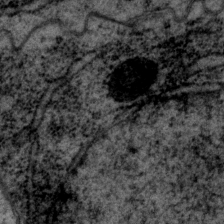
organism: P. pacificus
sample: Pharynx